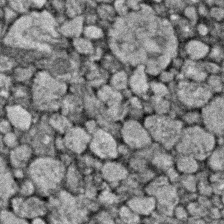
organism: Zebrafish